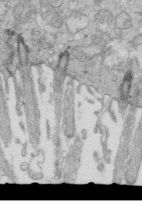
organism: Mouse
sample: Multiciliated cells